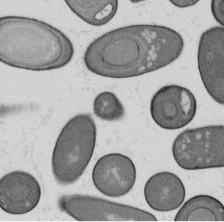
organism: B. subtilis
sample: Bacterial spore